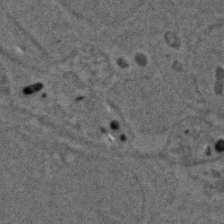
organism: Zebrafish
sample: Zebrafish embryo